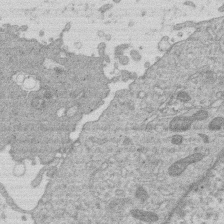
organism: Human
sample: Macrophage cells